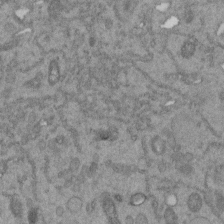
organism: C. elegans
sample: C. elegans embryo early stage